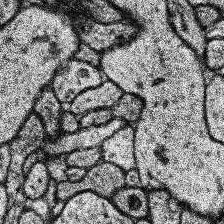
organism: Human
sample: Temporal Lobe